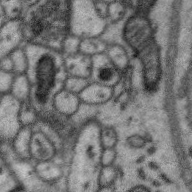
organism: Zebra finch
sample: Brain